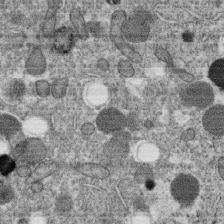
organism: C. elegans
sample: C. elegans oocyte; sperm cells